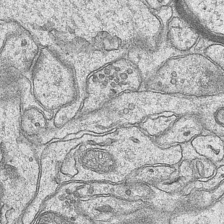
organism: Mouse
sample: CA1 Hippocampus